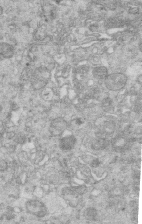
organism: Mouse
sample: Multiciliated cells